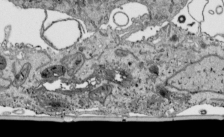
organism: Human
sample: Mitochondria in HCT116 cells